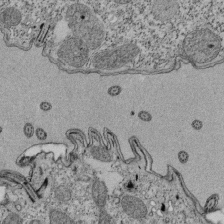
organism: Tetrahymena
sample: Cilia in tetrahymena